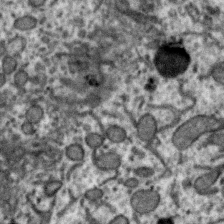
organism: Zebra finch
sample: Brain